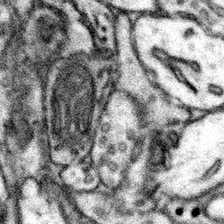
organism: Mouse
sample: Somatosensory cortex neuropil